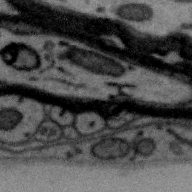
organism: Zebra finch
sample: Brain